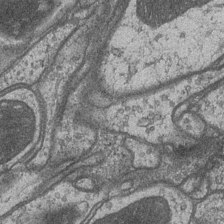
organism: Drosophila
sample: Optic medulla